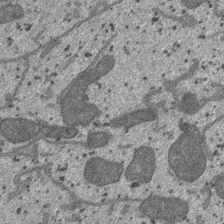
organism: Human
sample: Lung epithelial cells infected with SARS-CoV-2